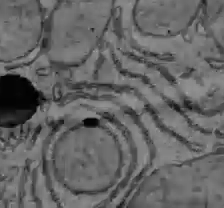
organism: C57BL Mouse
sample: Liver